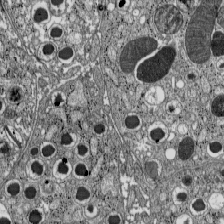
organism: C57BL Mouse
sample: Pancreatic islet